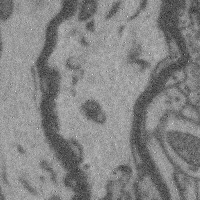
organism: Mouse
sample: Cerebral cortex